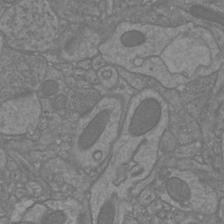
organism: Mouse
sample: Cortical neurons